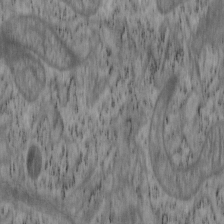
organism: Human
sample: HeLa cells